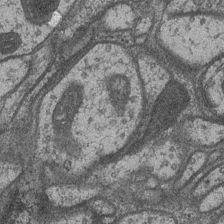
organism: Drosophila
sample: Optic medulla